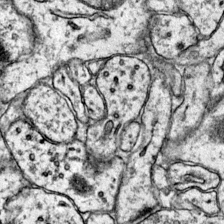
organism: Mouse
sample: Primary visual cortex